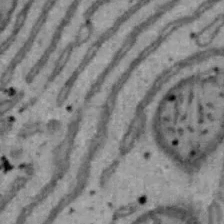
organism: Mouse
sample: Liver